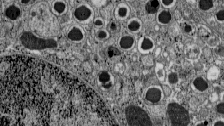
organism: C57BL Mouse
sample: Pancreatic islet